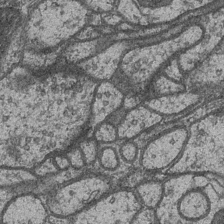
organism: Drosophila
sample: Optic medulla